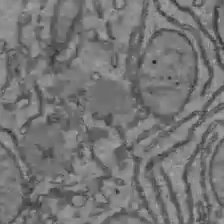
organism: C57BL Mouse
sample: Liver